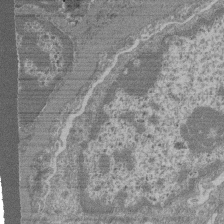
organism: Mouse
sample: Glomerulus